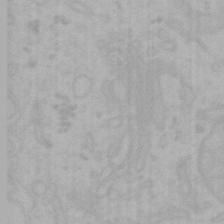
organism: Mouse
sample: Choroid plexus